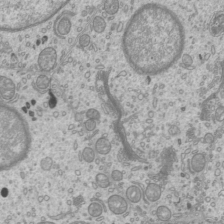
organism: Mouse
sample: Cilia; mouse epididymis